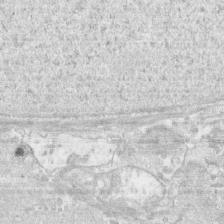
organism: Human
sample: CRL-1474